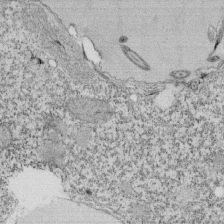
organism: Tetrahymena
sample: Cilia in tetrahymena